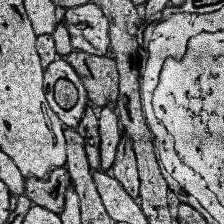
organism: Human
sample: Temporal Lobe